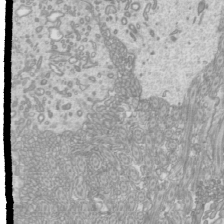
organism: Mouse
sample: Cilia; mouse epididymis